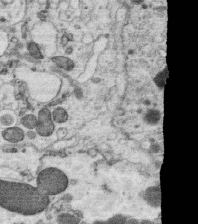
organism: C. elegans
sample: C. elegans oocyte; sperm cells